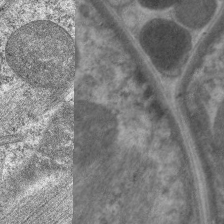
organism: C. elegans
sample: Pharynx